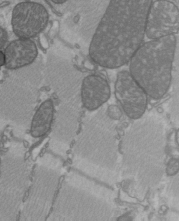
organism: C57BL Mouse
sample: Heart